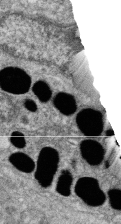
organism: Zebrafish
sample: Cilia; retinal pigment epithelium